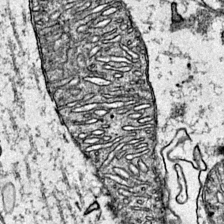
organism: Mouse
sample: Primary visual cortex